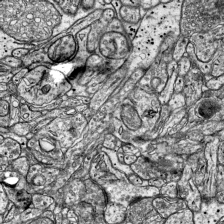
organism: Mouse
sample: Visual Cortex